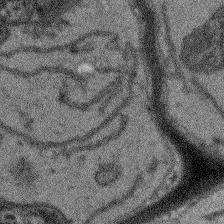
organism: Arabidopsis thaliana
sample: Root tip